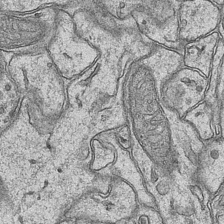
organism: Mouse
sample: CA1 Hippocampus